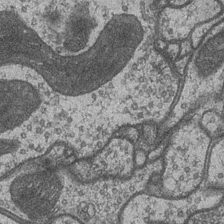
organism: Drosophila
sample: Optic medulla